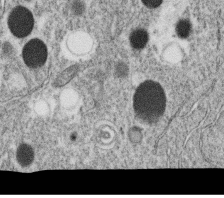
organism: C. elegans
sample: C. elegans oocyte; sperm cells